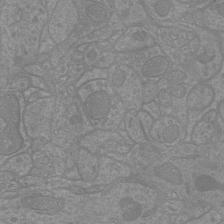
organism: Mouse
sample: Cortical neurons